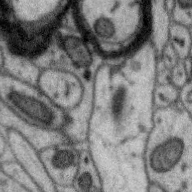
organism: Zebra finch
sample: Brain